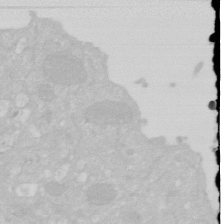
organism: Human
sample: HIV infected U937 cells